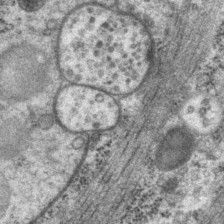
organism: P. pacificus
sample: Pharynx